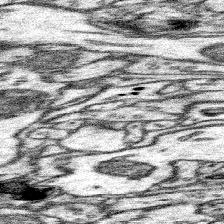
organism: Mouse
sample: Somatosensory cortex neuropil